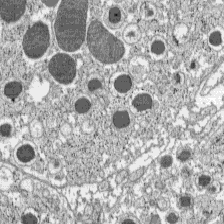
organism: C57BL Mouse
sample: Pancreatic islet